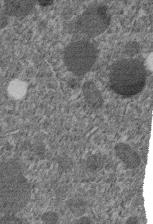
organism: C. elegans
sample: C. elegans embryo early stage